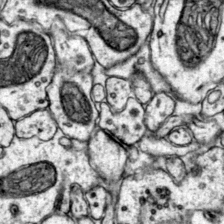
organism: Mouse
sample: Primary visual cortex